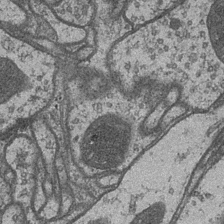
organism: Drosophila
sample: Optic medulla